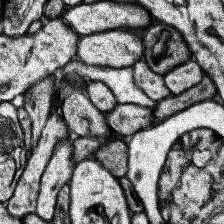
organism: Human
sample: Temporal Lobe